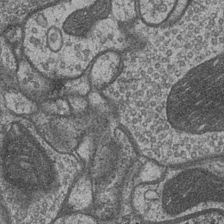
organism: Drosophila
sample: Optic medulla